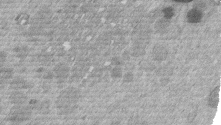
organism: Mouse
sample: Dividing mouse embryo 1 cell stage